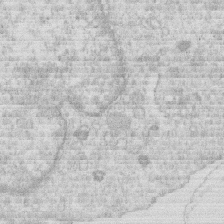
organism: Human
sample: Macrophage cells